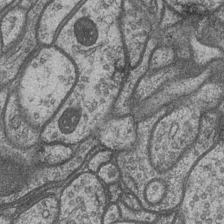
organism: Drosophila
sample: Optic medulla